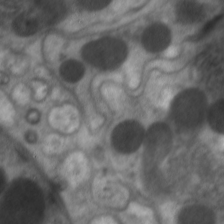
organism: C. elegans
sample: Pharynx